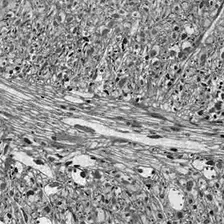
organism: Drosophila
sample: Optic lobe